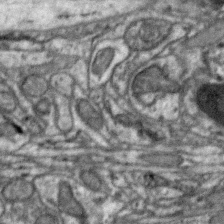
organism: Zebra finch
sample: Brain